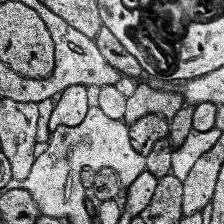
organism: Human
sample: Temporal Lobe